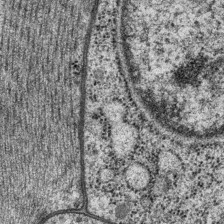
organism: P. pacificus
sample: Pharynx